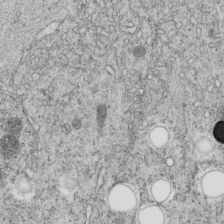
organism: C. elegans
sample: C. elegans embryo early stage